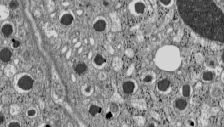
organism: C57BL Mouse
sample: Pancreatic islet